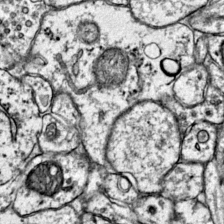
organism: Mouse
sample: Primary visual cortex